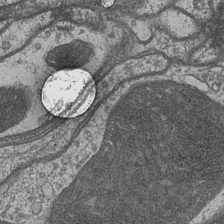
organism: Drosophila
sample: Optic medulla